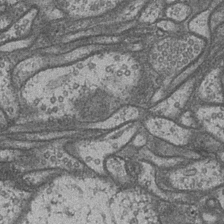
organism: Drosophila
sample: Optic medulla